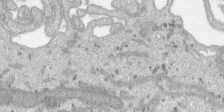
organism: Human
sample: Lung epithelial cells infected with SARS-CoV-2